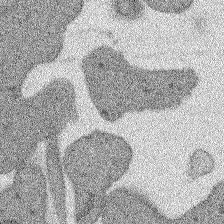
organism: Human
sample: HeLa cells